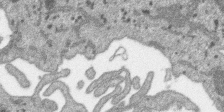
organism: Human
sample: Lung epithelial cells infected with SARS-CoV-2